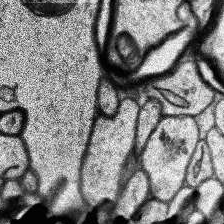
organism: Human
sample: Temporal Lobe